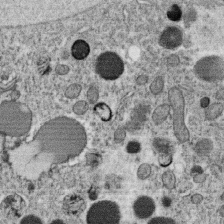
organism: C. elegans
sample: C. elegans oocyte; sperm cells